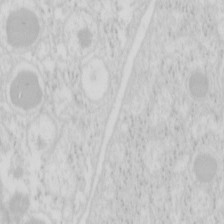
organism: Mouse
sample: Pancreas